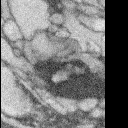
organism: Rabbit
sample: Retina